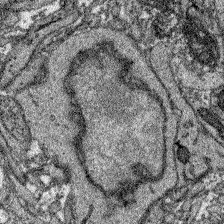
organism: Zebrafish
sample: Larval olfactory bulb